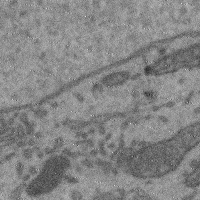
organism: Mouse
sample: Cerebral cortex